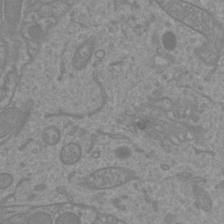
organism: Mouse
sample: Cortical neurons